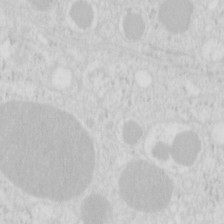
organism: Mouse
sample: Pancreas